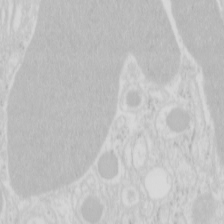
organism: Mouse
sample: Pancreas